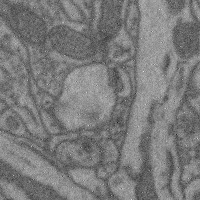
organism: Mouse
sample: Cerebral cortex